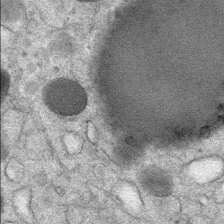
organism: Mouse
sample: Mouse Salivary gland